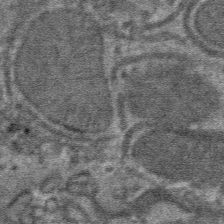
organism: Mouse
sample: Mouse hepatocytes